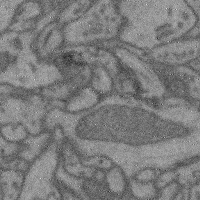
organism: Mouse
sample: Cerebral cortex